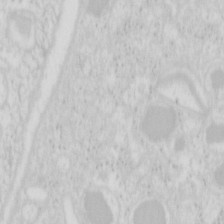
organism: Mouse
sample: Pancreas